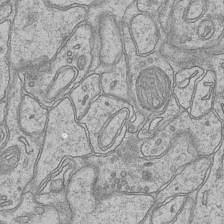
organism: Mouse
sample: CA1 Hippocampus